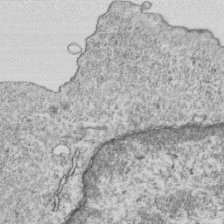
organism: Mouse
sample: Activated OT-1 CD8+ T cells